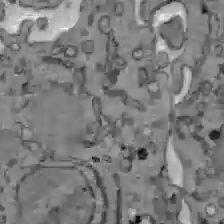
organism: C57BL Mouse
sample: Liver